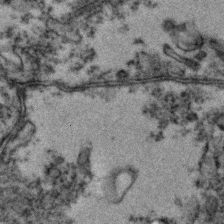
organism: Zebrafish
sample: Zebrafish embryo